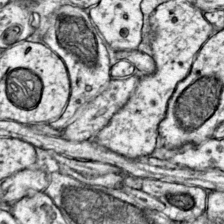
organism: Mouse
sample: Primary visual cortex